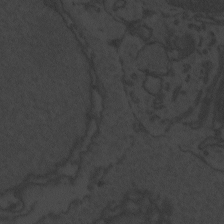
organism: Zebrafish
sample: Macrophage infected with Toxoplasma gondii